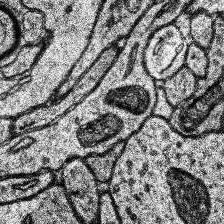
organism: Human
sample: Temporal Lobe